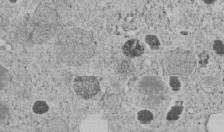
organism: C. elegans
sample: C. elegans embryo early stage